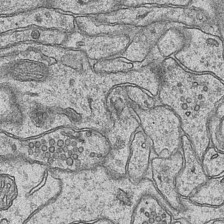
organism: Mouse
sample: CA1 Hippocampus